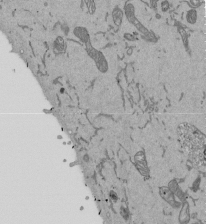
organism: Mouse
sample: ED-1 cell nuclei; centrioles